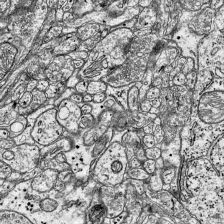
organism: Mouse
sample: Visual Cortex